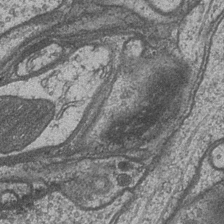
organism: Drosophila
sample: Optic medulla